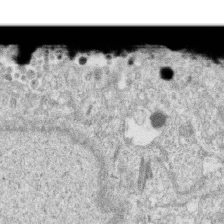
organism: Human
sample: HeLa cell HIV synapse